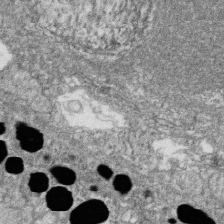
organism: Zebrafish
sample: Cilia; retinal pigment epithelium